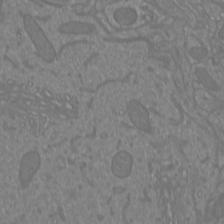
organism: Mouse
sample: Cortical neurons